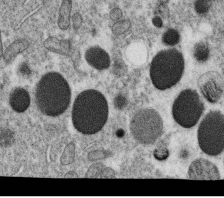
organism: C. elegans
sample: C. elegans oocyte; sperm cells